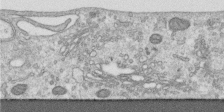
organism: Human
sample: Centriole in RPE cells